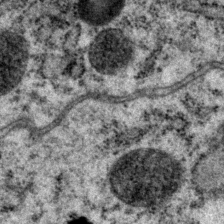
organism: P. pacificus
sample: Pharynx